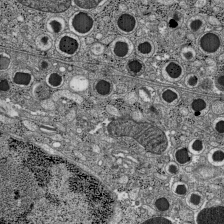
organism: C57BL Mouse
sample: Pancreatic islet